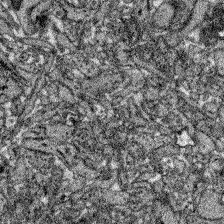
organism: Zebrafish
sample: Larval olfactory bulb